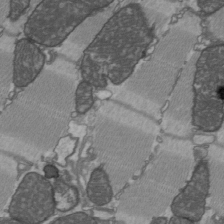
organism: C57BL Mouse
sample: Heart